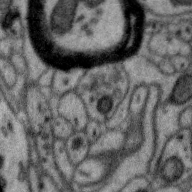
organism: Zebra finch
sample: Brain